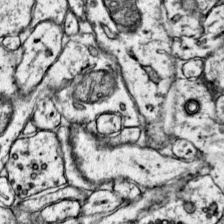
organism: Mouse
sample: Primary visual cortex